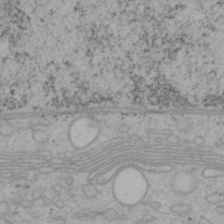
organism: Human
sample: HeLa cells